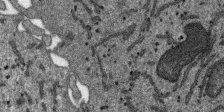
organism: Human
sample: Lung epithelial cells infected with SARS-CoV-2